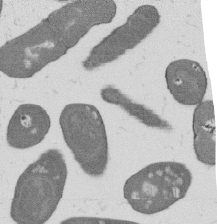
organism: B. subtilis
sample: Bacterial spore